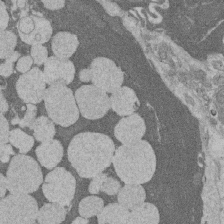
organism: Rat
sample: Salivary granule